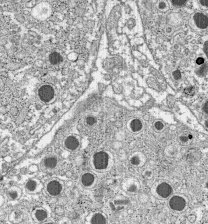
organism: C57BL Mouse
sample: Pancreatic islet